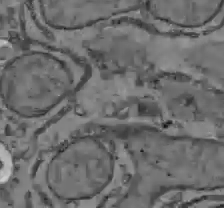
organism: C57BL Mouse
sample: Liver